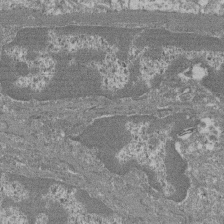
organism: Mouse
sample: Glomerulus